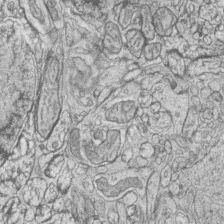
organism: Zebrafish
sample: synaptic ribbons in rod cells and cone cells